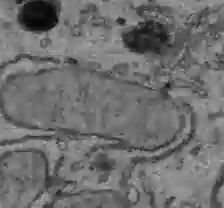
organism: C57BL Mouse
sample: Liver